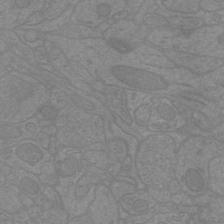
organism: Mouse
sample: Cortical neurons